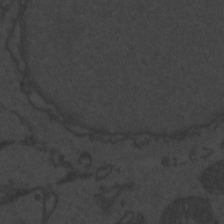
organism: Zebrafish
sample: Macrophage infected with Toxoplasma gondii